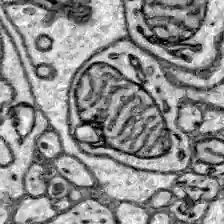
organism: Zebrafish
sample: Brain